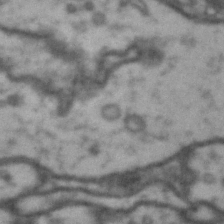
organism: Drosophila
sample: Brain